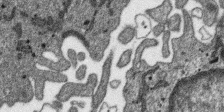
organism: Human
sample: Lung epithelial cells infected with SARS-CoV-2